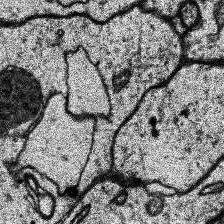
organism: Human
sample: Temporal Lobe